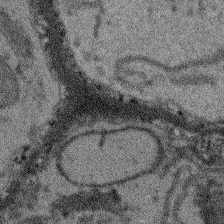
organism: Arabidopsis thaliana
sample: Root tip